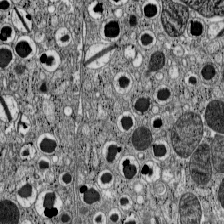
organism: C57BL Mouse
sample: Pancreatic islet